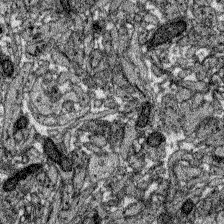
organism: Zebrafish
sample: Larval olfactory bulb